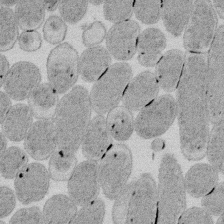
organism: E. coli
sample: Bacterial nucleoid